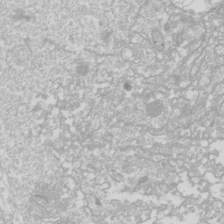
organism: Drosophila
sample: Cell division; meiosis; drosophila spermatocytes